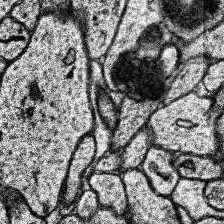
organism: Human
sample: Temporal Lobe